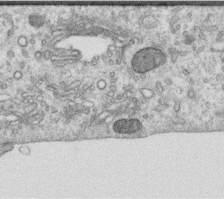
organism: Human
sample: Centriole in RPE cells